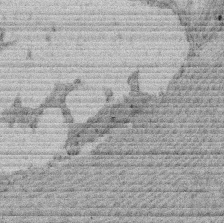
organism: Rat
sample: Salivary granule